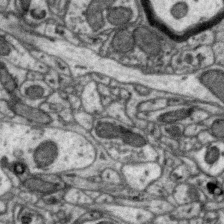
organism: Zebra finch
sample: Brain